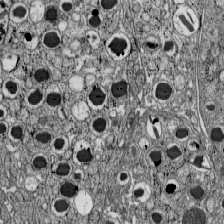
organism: C57BL Mouse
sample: Pancreatic islet